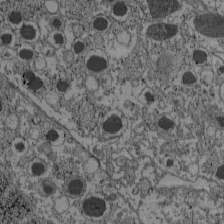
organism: C57BL Mouse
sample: Pancreatic islet